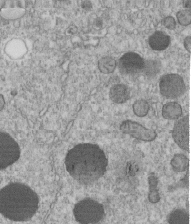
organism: C. elegans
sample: C. elegans embryo early stage